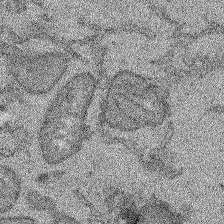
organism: Human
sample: HeLa cells